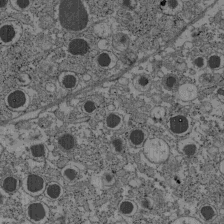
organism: C57BL Mouse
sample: Pancreatic islet